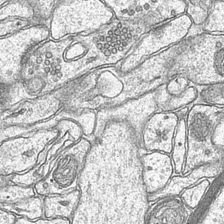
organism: Mouse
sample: CA1 Hippocampus